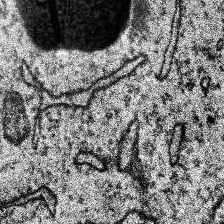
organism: Human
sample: Temporal Lobe